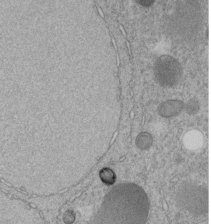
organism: C. elegans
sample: C. elegans embryo early stage